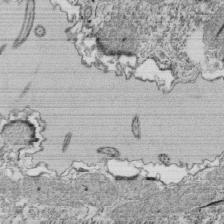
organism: Tetrahymena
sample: Cilia in tetrahymena